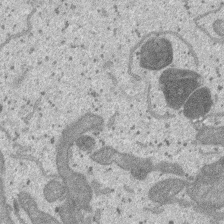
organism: Human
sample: Lung epithelial cells infected with SARS-CoV-2